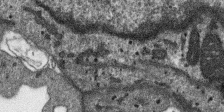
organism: Human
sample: Lung epithelial cells infected with SARS-CoV-2